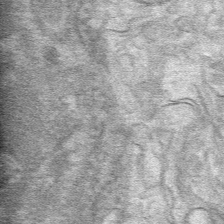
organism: Mouse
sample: Mouse hepatocytes